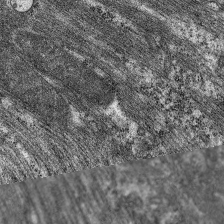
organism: C. elegans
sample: Pharynx